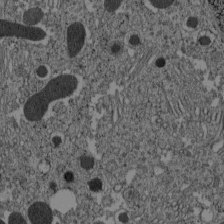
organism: C57BL Mouse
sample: Pancreatic islet